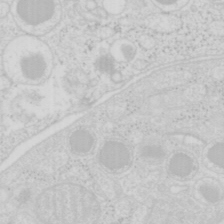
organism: Mouse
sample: Pancreas